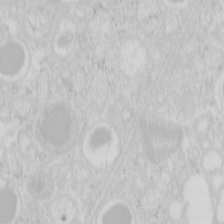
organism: Mouse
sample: Pancreas